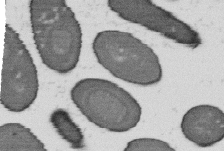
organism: B. subtilis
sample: Bacterial spore